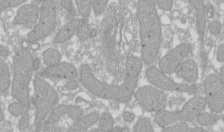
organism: Xenopus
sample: Cilia; centrioles in frog embryo cells